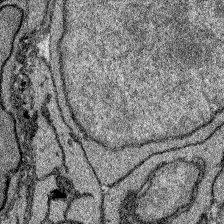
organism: Zebrafish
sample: Larval olfactory bulb